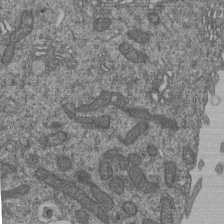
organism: Human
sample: Retinal organoid Rod and Cone cells